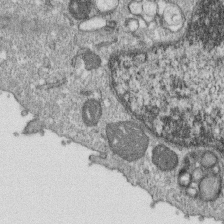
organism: African green monkey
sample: Vero E6 cells infected with SARS-CoV-2